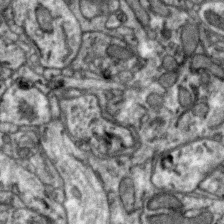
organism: Zebra finch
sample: Brain